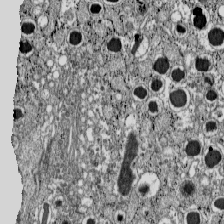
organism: C57BL Mouse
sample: Pancreatic islet